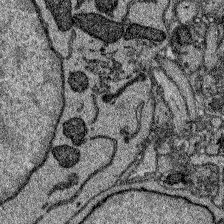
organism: Zebrafish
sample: Larval olfactory bulb